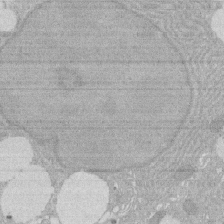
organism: Rat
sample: Salivary granule